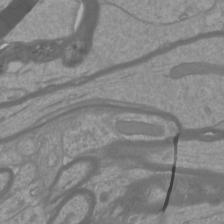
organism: Mouse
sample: Cortical neurons